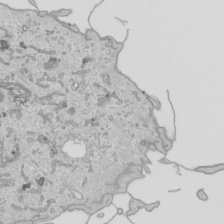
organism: Human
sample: Mitochondria in HCT116 cells